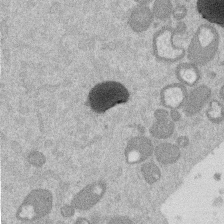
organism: Mouse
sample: Dividing mouse embryo 1 cell stage